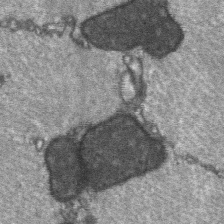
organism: C57BL Mouse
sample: Soleus